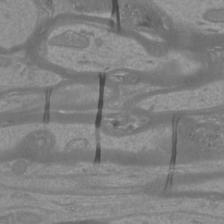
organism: Mouse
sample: Cortical neurons